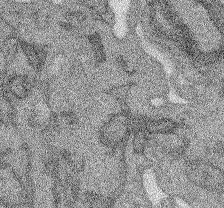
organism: Human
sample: HeLa cells